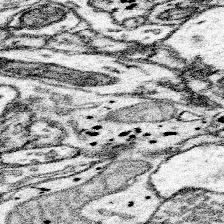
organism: Mouse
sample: Somatosensory cortex neuropil